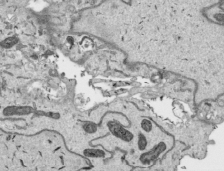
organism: Human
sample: Mitochondria in HCT116 cells